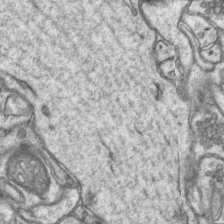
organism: Mouse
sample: CA1 Hippocampus